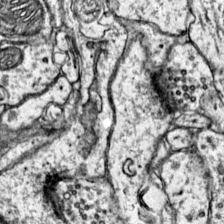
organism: Mouse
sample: Primary visual cortex